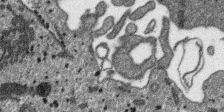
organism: Human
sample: Lung epithelial cells infected with SARS-CoV-2